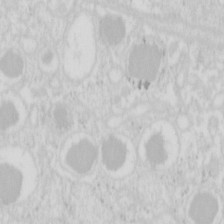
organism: Mouse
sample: Pancreas